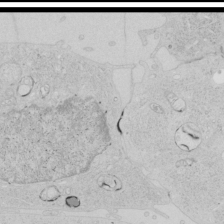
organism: Human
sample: Mitochondria in HCT116 cells